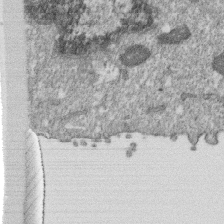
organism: African green monkey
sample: Vero E6 cells infected with SARS-CoV-2